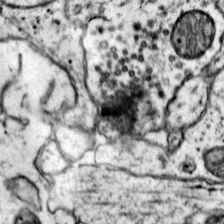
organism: Mouse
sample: Primary visual cortex